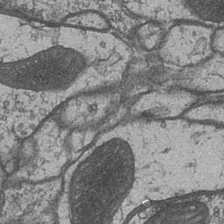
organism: Drosophila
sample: Optic medulla